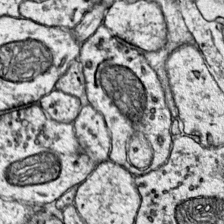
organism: Mouse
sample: Primary visual cortex